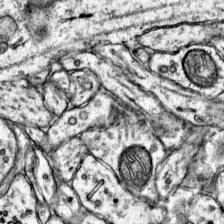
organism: Mouse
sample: Primary visual cortex